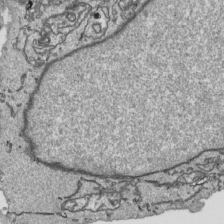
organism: Human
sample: Mitochondria in HCT116 cells